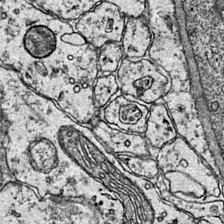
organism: Mouse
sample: Primary visual cortex